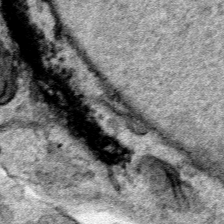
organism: Human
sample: Mitochondria in HCT116 cells